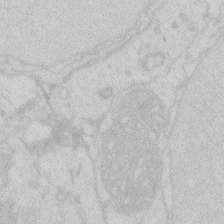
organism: Zebrafish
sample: Macrophage